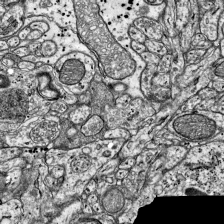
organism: Mouse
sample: Visual Cortex